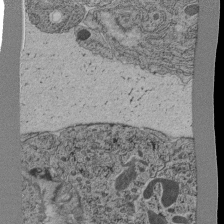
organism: C. elegans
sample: C. elegans pharynx